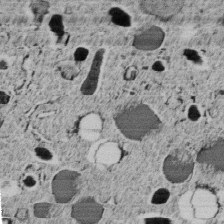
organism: C. elegans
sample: C. elegans embryo early stage